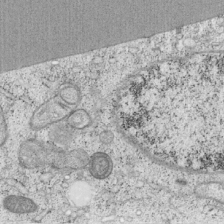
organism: African green monkey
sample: COS-7 cells